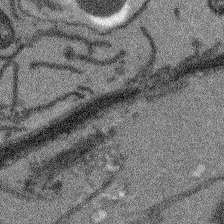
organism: Arabidopsis thaliana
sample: Root tip